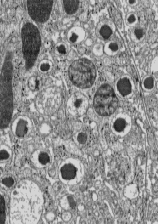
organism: C57BL Mouse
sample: Pancreatic islet